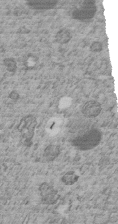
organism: C. elegans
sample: C. elegans embryo early stage